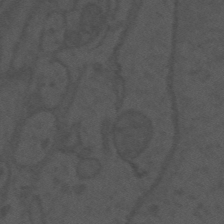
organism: Mouse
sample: Suprachiasmatic nucleus